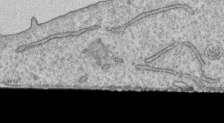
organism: Human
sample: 1205lu cells